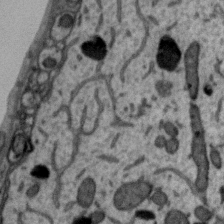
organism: Zebra finch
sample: Brain